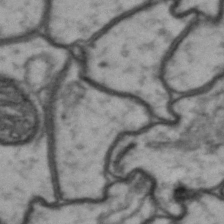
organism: Drosophila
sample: Brain